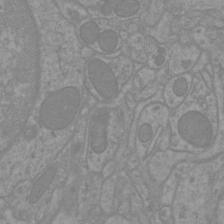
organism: Mouse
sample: Cortical neurons